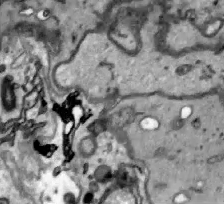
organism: Zebrafish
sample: Actinotrichia fibers